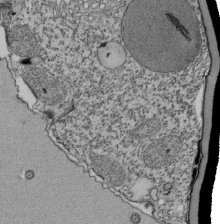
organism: Tetrahymena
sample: Cilia in tetrahymena